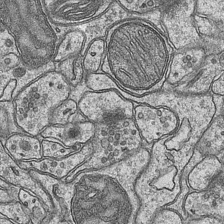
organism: Mouse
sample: CA1 Hippocampus